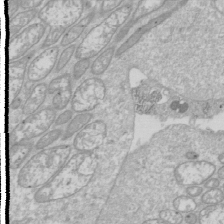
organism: Drosophila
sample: Cell division; meiosis; drosophila spermatocytes